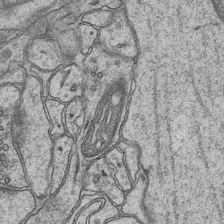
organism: Mouse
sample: CA1 Hippocampus